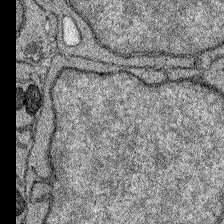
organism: Zebrafish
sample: Larval olfactory bulb